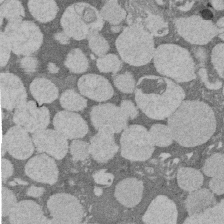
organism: Rat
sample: Salivary granule